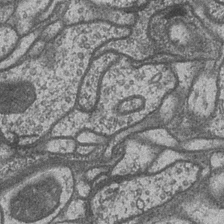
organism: Drosophila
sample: Optic medulla